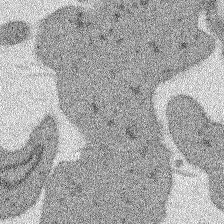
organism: Human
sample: HeLa cells